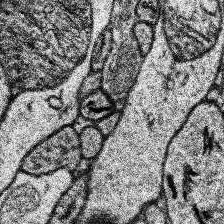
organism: Human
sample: Temporal Lobe